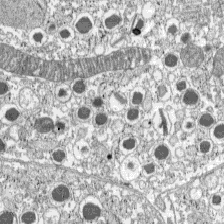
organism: C57BL Mouse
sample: Pancreatic islet